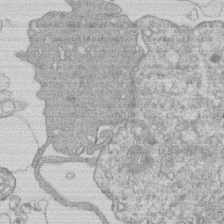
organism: Human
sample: Macrophage cells